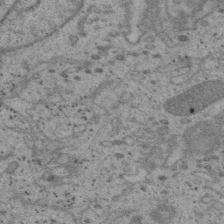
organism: Human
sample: HeLa cells